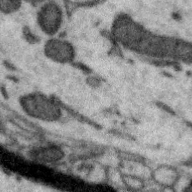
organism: Zebra finch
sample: Brain